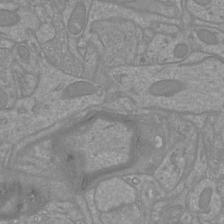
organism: Mouse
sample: Cortical neurons